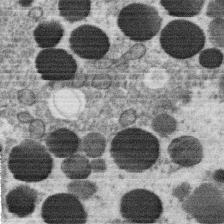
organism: C. elegans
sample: C. elegans oocyte; sperm cells